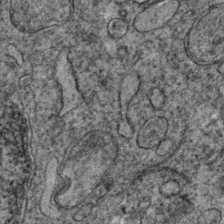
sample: Trachea